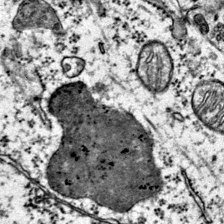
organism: Mouse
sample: Primary visual cortex